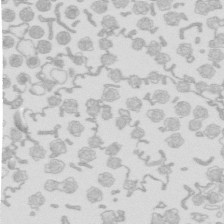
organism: Mouse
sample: Multiciliated cells